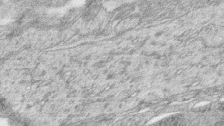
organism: Zebrafish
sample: synaptic ribbons in rod cells and cone cells